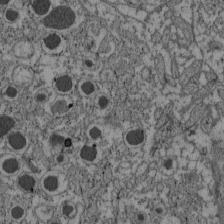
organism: C57BL Mouse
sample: Pancreatic islet